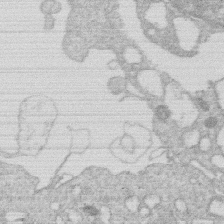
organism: Human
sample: Macrophage cells